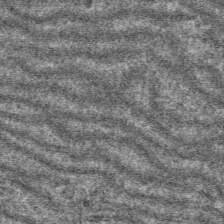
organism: Mouse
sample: Mouse hepatocytes